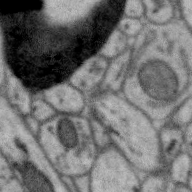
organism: Zebra finch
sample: Brain